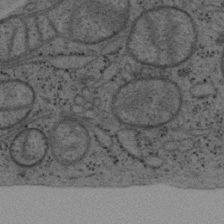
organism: Human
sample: HeLa cells